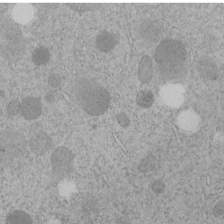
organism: C. elegans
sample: C. elegans embryo early stage